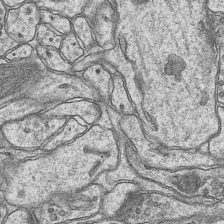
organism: Mouse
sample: CA1 Hippocampus